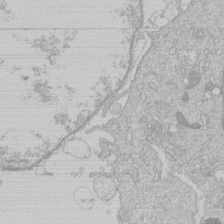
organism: Human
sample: Macrophage cells